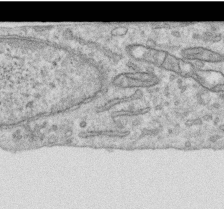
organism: Human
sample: Centriole in RPE cells